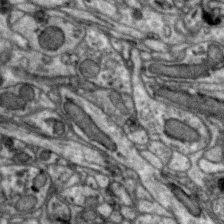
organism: Zebra finch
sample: Brain